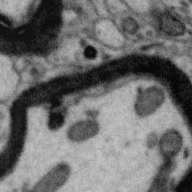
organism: Zebra finch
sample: Brain